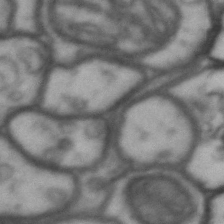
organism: Drosophila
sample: Brain